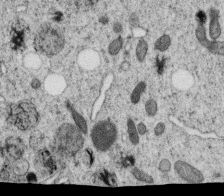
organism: C. elegans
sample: C. elegans oocyte; sperm cells